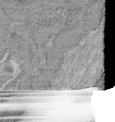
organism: Mouse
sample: Glomerulus